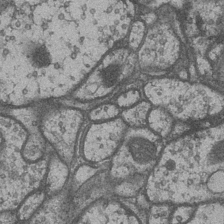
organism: Drosophila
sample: Optic medulla